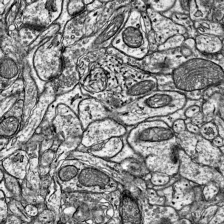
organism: Mouse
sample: Visual Cortex